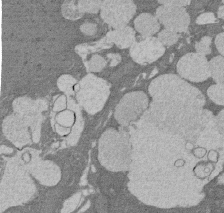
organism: Rat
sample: Salivary granule